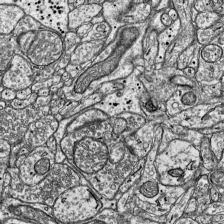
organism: Mouse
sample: Visual Cortex